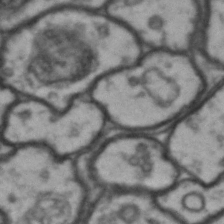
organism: Drosophila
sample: Brain